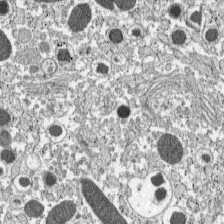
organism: C57BL Mouse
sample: Pancreatic islet